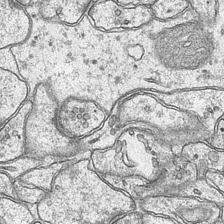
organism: Mouse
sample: CA1 Hippocampus